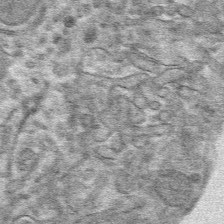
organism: Mouse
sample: Mouse hepatocytes